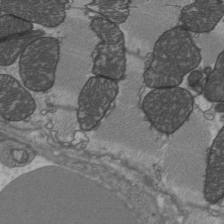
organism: C57BL Mouse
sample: Heart